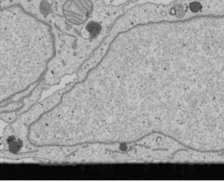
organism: Human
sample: Mitochondria in U2OS cells